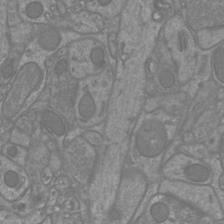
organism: Mouse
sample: Cortical neurons